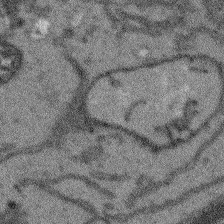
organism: Arabidopsis thaliana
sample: Root tip